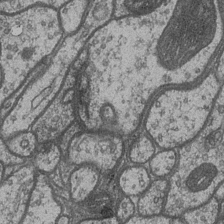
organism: Drosophila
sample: Optic medulla